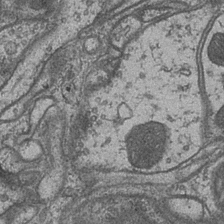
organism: Drosophila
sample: Optic medulla